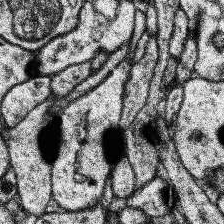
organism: Human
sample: Temporal Lobe